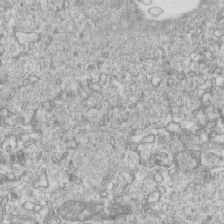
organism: Mouse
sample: Activated OT-1 CD8+ T cells